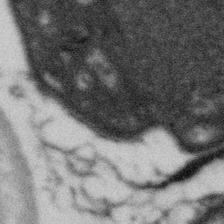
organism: Gemmata obscuriglobus